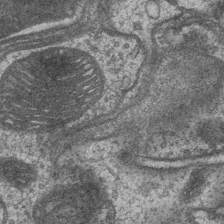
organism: Drosophila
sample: Optic medulla